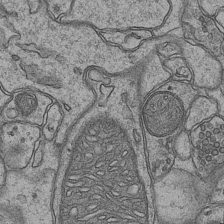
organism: Mouse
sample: CA1 Hippocampus